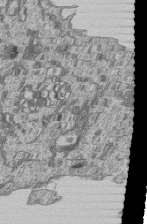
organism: Human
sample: MDA-MB-231 cells